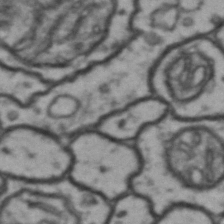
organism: Drosophila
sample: Brain